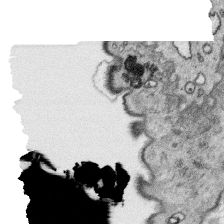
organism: Platynereis dumerilii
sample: Parapodia